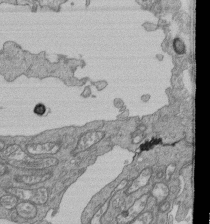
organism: Human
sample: Retinal organoid Rod and Cone cells